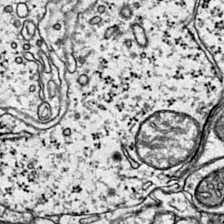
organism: Mouse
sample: Primary visual cortex